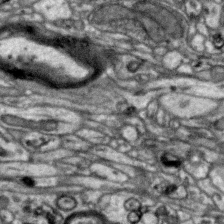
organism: Zebra finch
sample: Brain